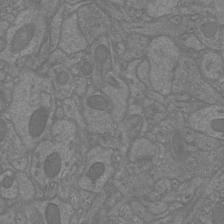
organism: Mouse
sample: Cortical neurons